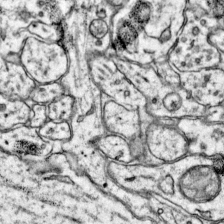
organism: Mouse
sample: Primary visual cortex